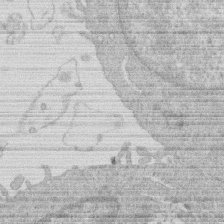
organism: Human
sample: Macrophage cells